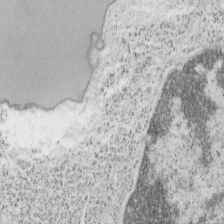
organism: Mouse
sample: OT-I killer T cells with ID8 ovarian cancer cells